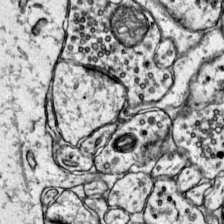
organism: Mouse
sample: Primary visual cortex